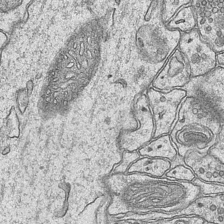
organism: Mouse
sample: CA1 Hippocampus